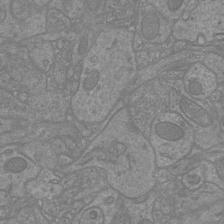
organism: Mouse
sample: Cortical neurons